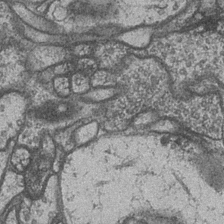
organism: Drosophila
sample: Optic medulla